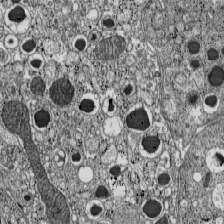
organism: C57BL Mouse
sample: Pancreatic islet